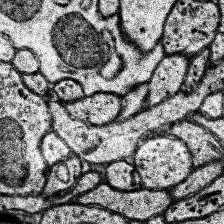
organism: Human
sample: Temporal Lobe